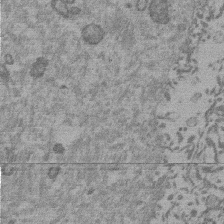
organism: Mouse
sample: Dividing mouse embryo 1 cell stage